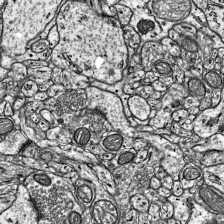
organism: Mouse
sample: Visual Cortex